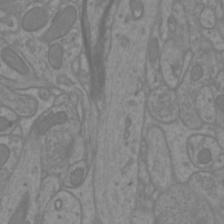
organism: Mouse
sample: Cortical neurons